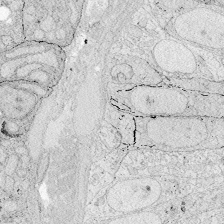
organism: Zebrafish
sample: Whole-Brain